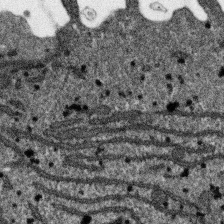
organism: Human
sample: Lung epithelial cells infected with SARS-CoV-2